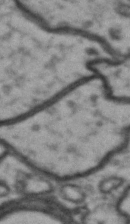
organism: Drosophila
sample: Brain